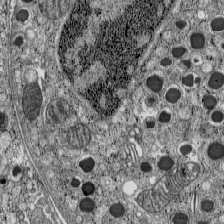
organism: C57BL Mouse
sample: Pancreatic islet